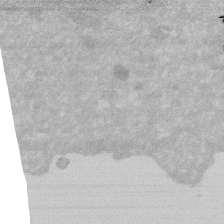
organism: Human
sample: HIV infected U937 cells